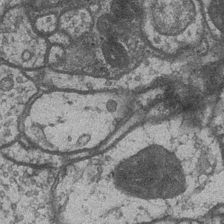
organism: Drosophila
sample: Optic medulla